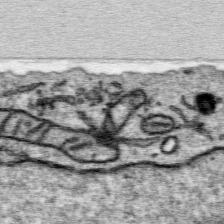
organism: Human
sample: HeLa cells